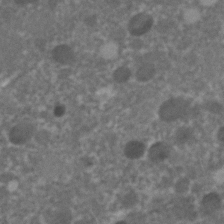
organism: C. elegans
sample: C. elegans embryo